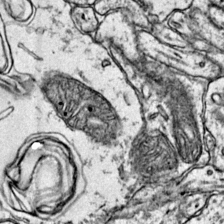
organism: Mouse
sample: Primary visual cortex